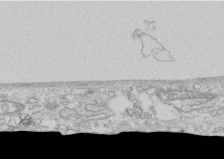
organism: Human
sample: CRL-1474